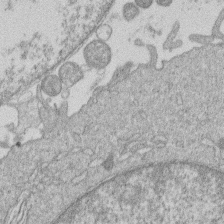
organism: Human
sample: Macrophage cells